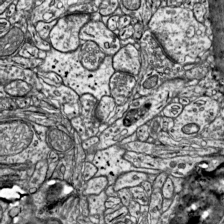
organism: Mouse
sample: Visual Cortex